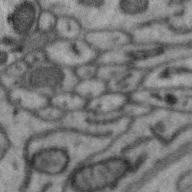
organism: Zebra finch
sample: Brain